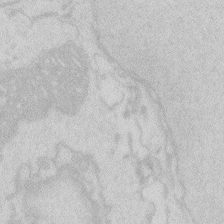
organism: Zebrafish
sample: Macrophage